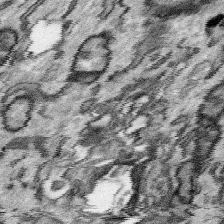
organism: Human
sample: HeLa cells